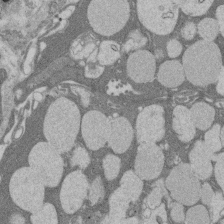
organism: Rat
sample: Salivary granule